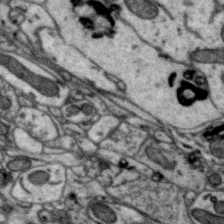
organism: Zebra finch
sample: Brain